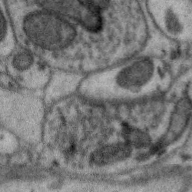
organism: Zebra finch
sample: Brain